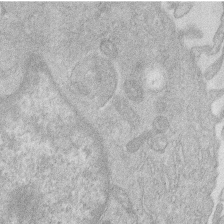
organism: Human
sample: Macrophage cells